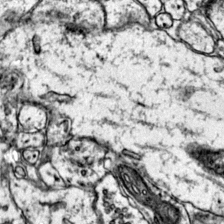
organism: Mouse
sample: Primary visual cortex